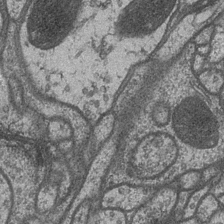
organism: Drosophila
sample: Optic medulla